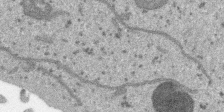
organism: Human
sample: Lung epithelial cells infected with SARS-CoV-2